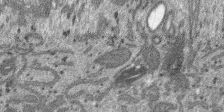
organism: Human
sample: Lung epithelial cells infected with SARS-CoV-2